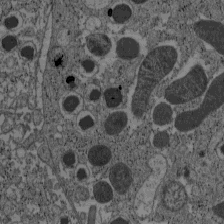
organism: C57BL Mouse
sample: Pancreatic islet